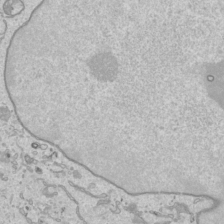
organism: Human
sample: Mitochondria in HCT116 cells